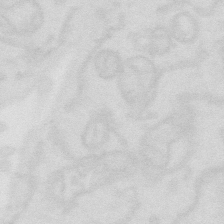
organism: Human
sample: HeLa cells